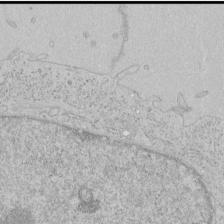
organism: Human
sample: Mitochondria in HCT116 cells